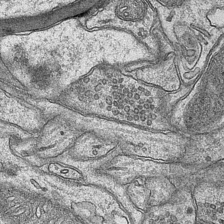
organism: Mouse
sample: CA1 Hippocampus